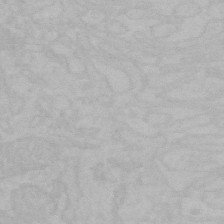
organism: Mouse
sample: Choroid plexus